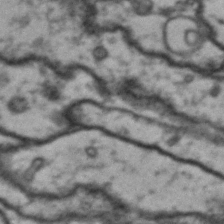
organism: Drosophila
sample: Brain